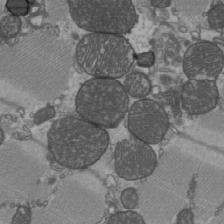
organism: C57BL Mouse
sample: Heart